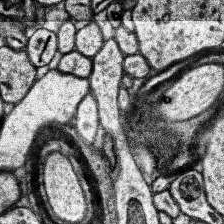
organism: Human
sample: Temporal Lobe